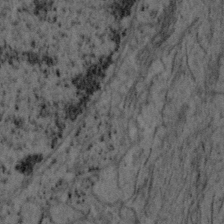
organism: Human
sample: HeLa cells